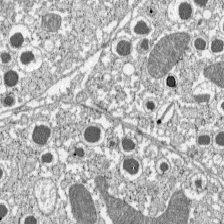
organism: C57BL Mouse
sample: Pancreatic islet